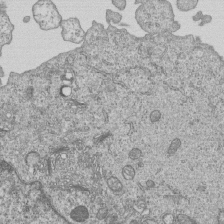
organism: Human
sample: MDA-MB-231 cells